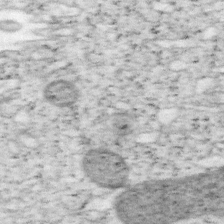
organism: Mouse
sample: OT-I killer T cells with ID8 ovarian cancer cells